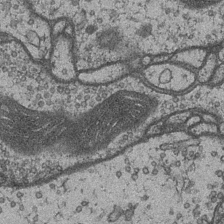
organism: Drosophila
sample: Optic medulla